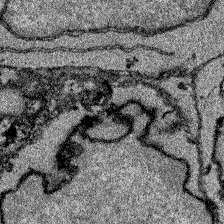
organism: Zebrafish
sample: Larval olfactory bulb